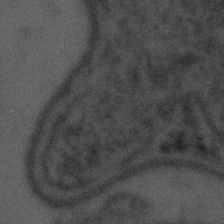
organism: Tuwongella immobilis